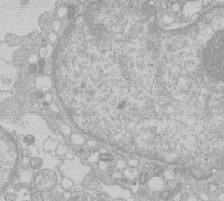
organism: Human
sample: Macrophage cells